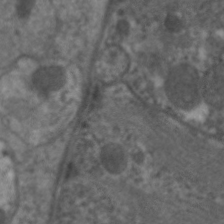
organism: C. elegans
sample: Pharynx